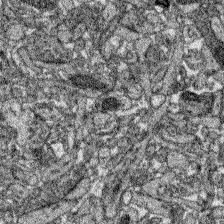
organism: Zebrafish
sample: Larval olfactory bulb